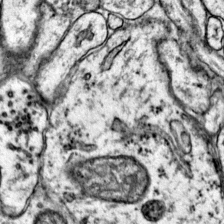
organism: Mouse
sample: Primary visual cortex